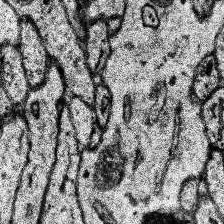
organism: Human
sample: Temporal Lobe